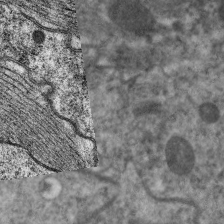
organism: C. elegans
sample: Pharynx